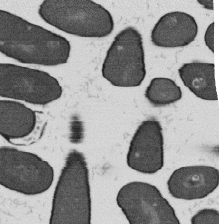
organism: B. subtilis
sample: Bacterial spore